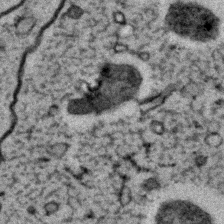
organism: C. elegans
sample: C. elegans embryo